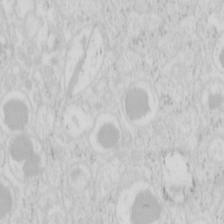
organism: Mouse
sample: Pancreas